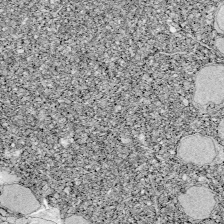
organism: Zebrafish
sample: Whole-Brain